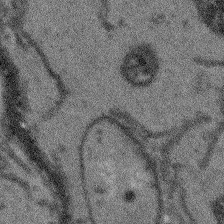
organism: Arabidopsis thaliana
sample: Root tip